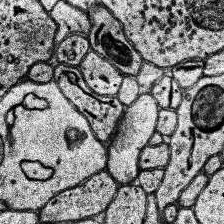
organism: Human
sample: Temporal Lobe